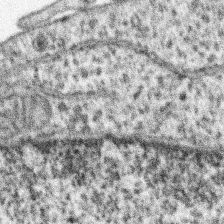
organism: Human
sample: HeLa cells